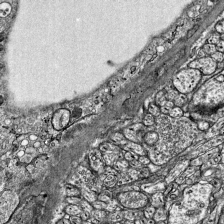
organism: Mouse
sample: Visual Cortex